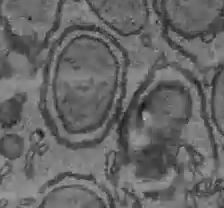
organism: C57BL Mouse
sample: Liver